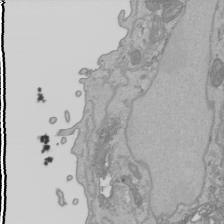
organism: Human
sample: Mitochondria in HCT116 cells